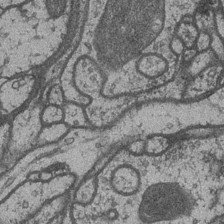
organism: Drosophila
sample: Optic medulla